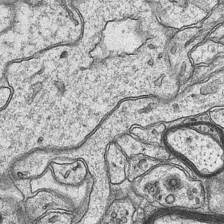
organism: Mouse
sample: CA1 Hippocampus